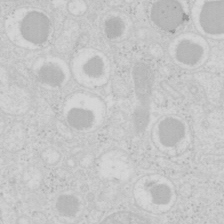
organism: Mouse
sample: Pancreas